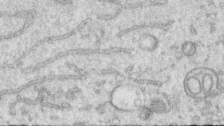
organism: Human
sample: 1205lu cells